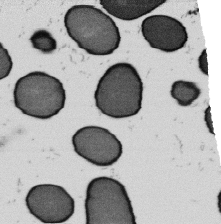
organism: B. subtilis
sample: Bacterial spore